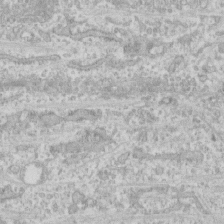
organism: Human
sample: CRL-1474